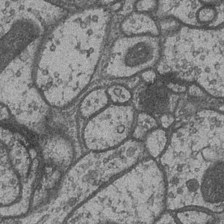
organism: Drosophila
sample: Optic medulla